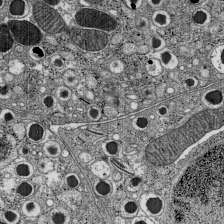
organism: C57BL Mouse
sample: Pancreatic islet